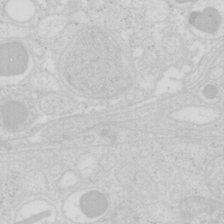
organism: Mouse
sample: Pancreas